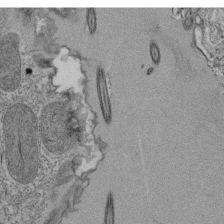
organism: Tetrahymena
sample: Cilia in tetrahymena